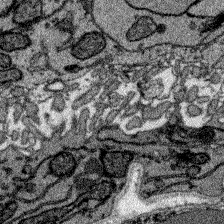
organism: Zebrafish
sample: Larval olfactory bulb